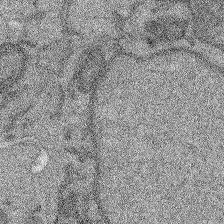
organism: Human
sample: HeLa cells